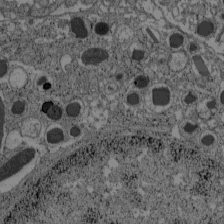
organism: C57BL Mouse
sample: Pancreatic islet